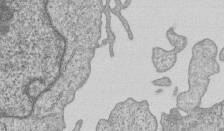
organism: Human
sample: MDA-MB-231 cells